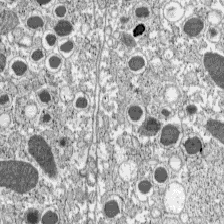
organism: C57BL Mouse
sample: Pancreatic islet